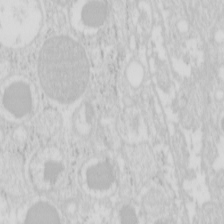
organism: Mouse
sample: Pancreas